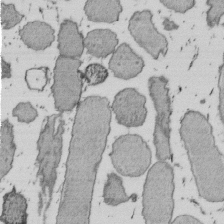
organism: E. coli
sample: Bacterial nucleoid